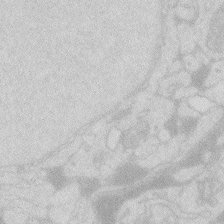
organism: Zebrafish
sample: Macrophage